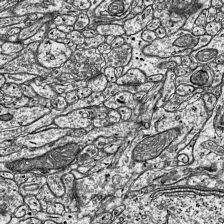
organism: Mouse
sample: Visual Cortex